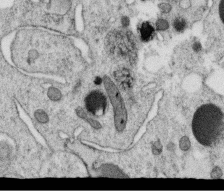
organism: C. elegans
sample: C. elegans oocyte; sperm cells